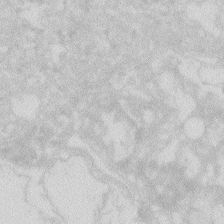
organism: Zebrafish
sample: Macrophage